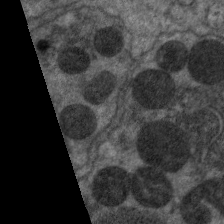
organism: C. elegans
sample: Pharynx